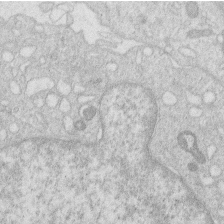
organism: Human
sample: Macrophage cells